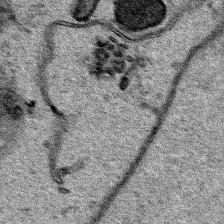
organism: Human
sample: Mitochondria in HCT116 cells